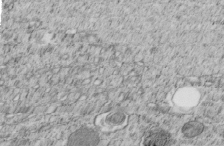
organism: C. elegans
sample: C. elegans embryo early stage